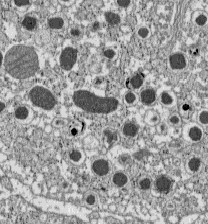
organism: C57BL Mouse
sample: Pancreatic islet